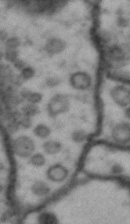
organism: Drosophila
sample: Brain